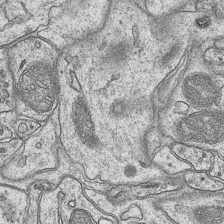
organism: Mouse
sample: CA1 Hippocampus